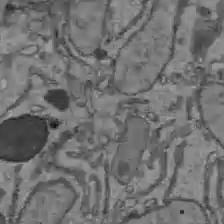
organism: C57BL Mouse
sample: Liver